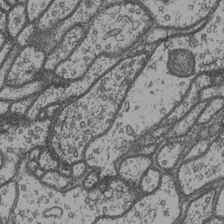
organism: Drosophila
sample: Optic medulla